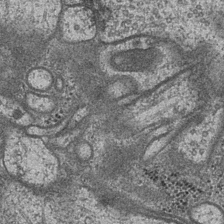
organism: Drosophila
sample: Optic medulla